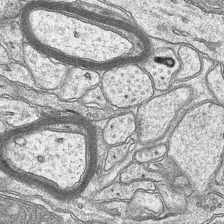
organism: Mouse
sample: CA1 Hippocampus